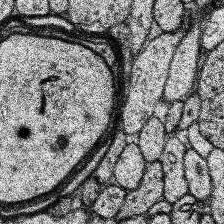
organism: Human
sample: Temporal Lobe